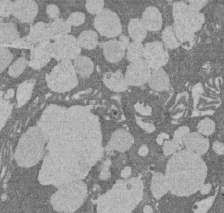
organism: Rat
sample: Salivary granule